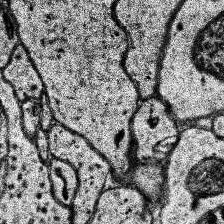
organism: Human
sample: Temporal Lobe